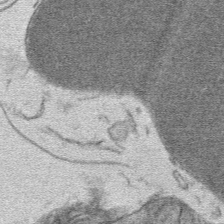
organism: Mouse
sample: Mouse hepatocytes